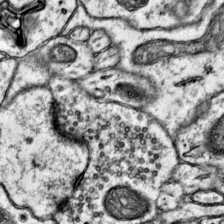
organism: Mouse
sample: Primary visual cortex